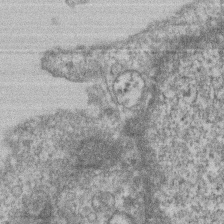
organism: Mouse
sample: T cell stromal cell synapse